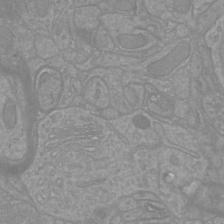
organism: Mouse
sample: Cortical neurons